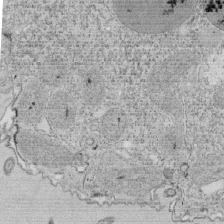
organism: Tetrahymena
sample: Cilia in tetrahymena